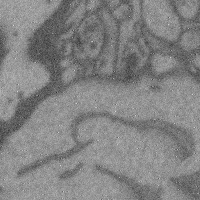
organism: Mouse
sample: Cerebral cortex